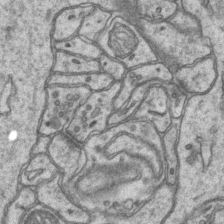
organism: Mouse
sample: CA1 Hippocampus